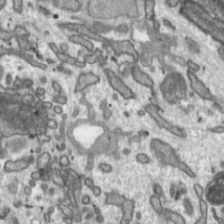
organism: Toxoplasma gondii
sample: Parasites in a vacuole inside a host cell